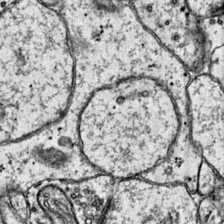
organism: Mouse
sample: Primary visual cortex